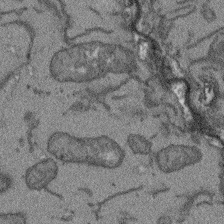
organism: Arabidopsis thaliana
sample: Root tip